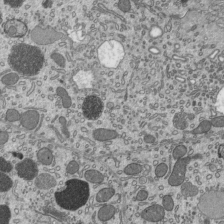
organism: Mouse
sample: Mouse epididymis efferent ductule cilia